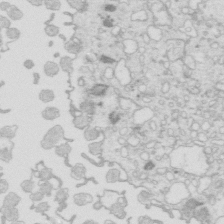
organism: Mouse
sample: Multiciliated cells